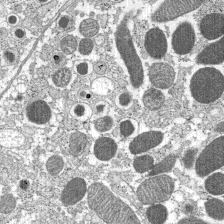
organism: C57BL Mouse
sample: Pancreatic islet